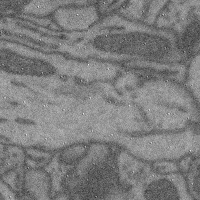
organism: Mouse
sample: Cerebral cortex